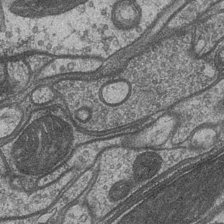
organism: Drosophila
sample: Optic medulla